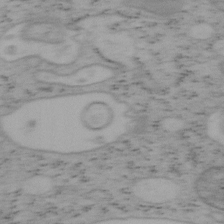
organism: Mouse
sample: OT-I killer T cells with ID8 ovarian cancer cells